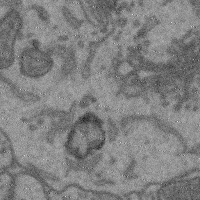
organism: Mouse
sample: Cerebral cortex